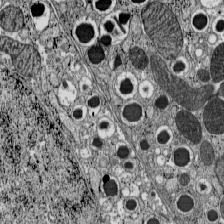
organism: C57BL Mouse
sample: Pancreatic islet